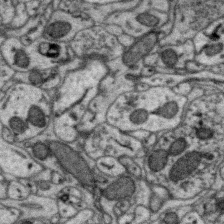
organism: Zebra finch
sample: Brain